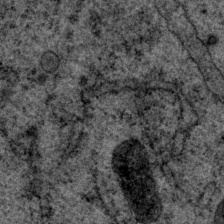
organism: P. pacificus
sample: Pharynx